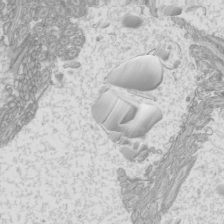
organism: Mouse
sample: Cilia; mouse epididymis